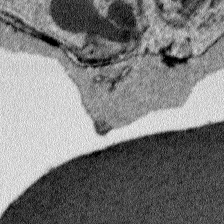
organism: Plasmodium falciparum